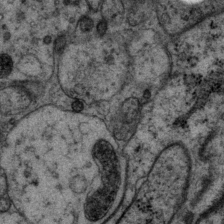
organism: P. pacificus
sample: Pharynx